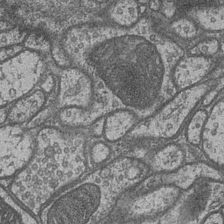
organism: Drosophila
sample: Optic medulla